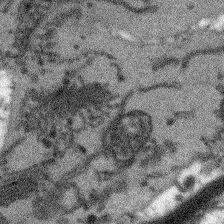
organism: Arabidopsis thaliana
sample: Root tip